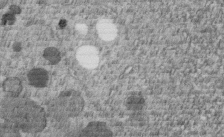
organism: C. elegans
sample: C. elegans embryo early stage